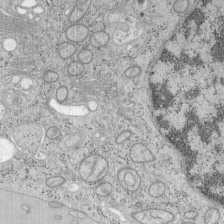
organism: Mouse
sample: OT-I killer T cells with ID8 ovarian cancer cells